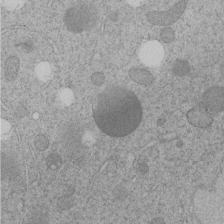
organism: C. elegans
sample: C. elegans embryo early stage